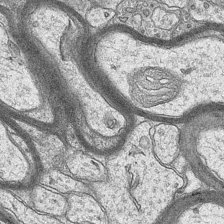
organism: Mouse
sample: CA1 Hippocampus